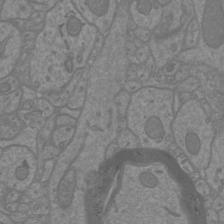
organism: Mouse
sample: Cortical neurons